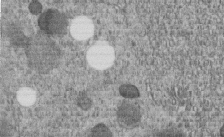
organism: C. elegans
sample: C. elegans embryo early stage